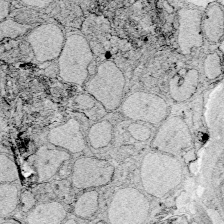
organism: Zebrafish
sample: Whole-Brain